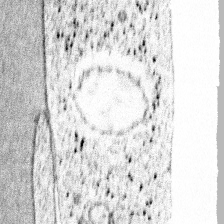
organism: Human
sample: HeLa cells